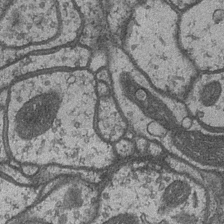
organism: Drosophila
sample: Optic medulla